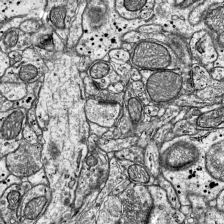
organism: Mouse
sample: Visual Cortex